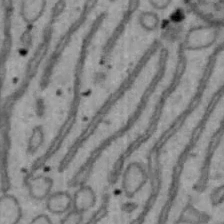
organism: Mouse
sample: Liver